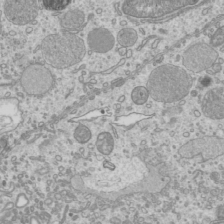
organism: Mouse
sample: Cilia; mouse epididymis